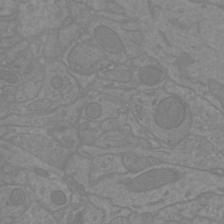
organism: Mouse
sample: Cortical neurons